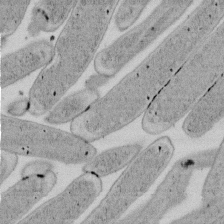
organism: E. coli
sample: Bacterial nucleoid